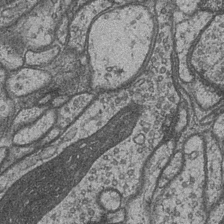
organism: Drosophila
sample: Optic medulla